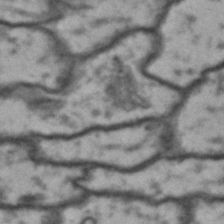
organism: Drosophila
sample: Brain